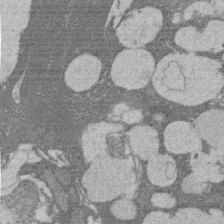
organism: Rat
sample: Salivary granule